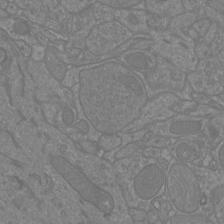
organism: Mouse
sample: Cortical neurons